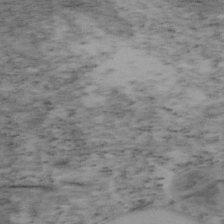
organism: Mouse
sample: OT-I killer T cells with ID8 ovarian cancer cells